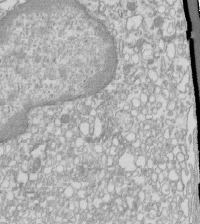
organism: Mouse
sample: Macrophages